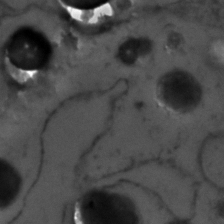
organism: Zebrafish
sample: Zebrafish embryo